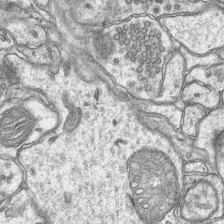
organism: Mouse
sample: CA1 Hippocampus